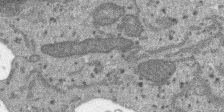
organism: Human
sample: Lung epithelial cells infected with SARS-CoV-2